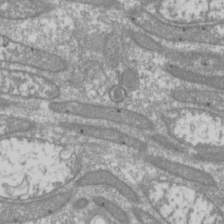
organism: Drosophila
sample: Cell division; meiosis; drosophila spermatocytes